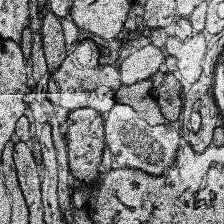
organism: Human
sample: Temporal Lobe